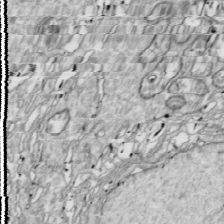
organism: Drosophila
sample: Cell division; meiosis; drosophila spermatocytes